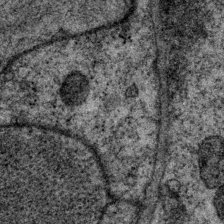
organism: P. pacificus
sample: Pharynx